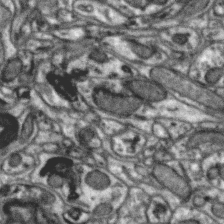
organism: Zebra finch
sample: Brain